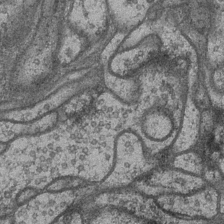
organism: Drosophila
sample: Optic medulla